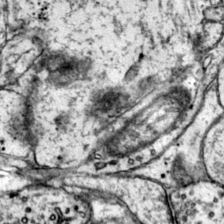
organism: Mouse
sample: Primary visual cortex